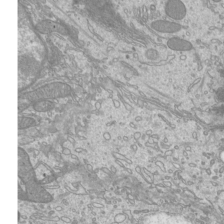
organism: Mouse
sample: Cilia; mouse epididymis